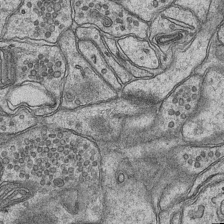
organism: Mouse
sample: CA1 Hippocampus